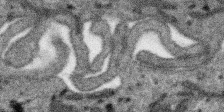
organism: Human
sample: Lung epithelial cells infected with SARS-CoV-2